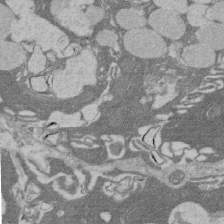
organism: Rat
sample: Salivary granule